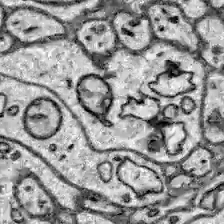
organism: Zebrafish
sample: Brain